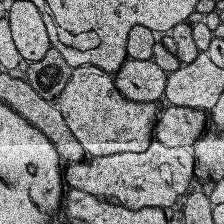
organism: Human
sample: Temporal Lobe